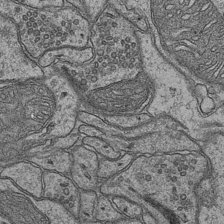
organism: Mouse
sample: CA1 Hippocampus